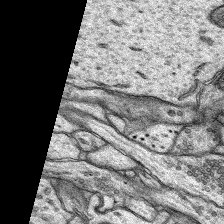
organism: Rat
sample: Hippocampus